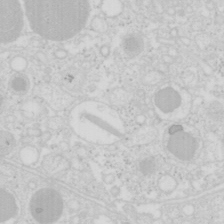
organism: Mouse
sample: Pancreas